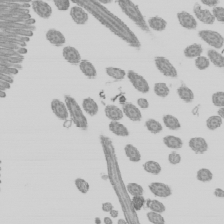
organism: Mouse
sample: Cilia; mouse epididymis